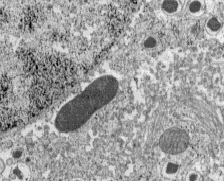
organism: C57BL Mouse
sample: Pancreatic islet